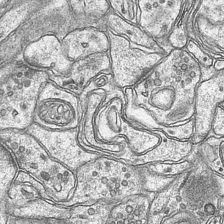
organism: Mouse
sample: CA1 Hippocampus